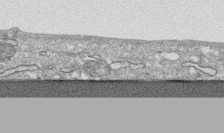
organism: Human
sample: CRL-1474